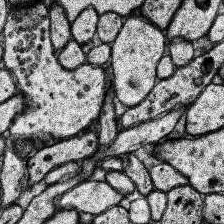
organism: Human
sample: Temporal Lobe